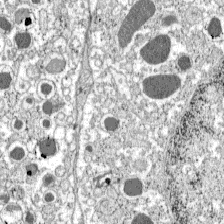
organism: C57BL Mouse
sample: Pancreatic islet